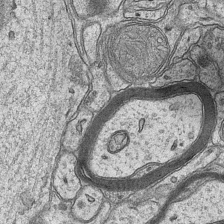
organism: Mouse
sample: CA1 Hippocampus